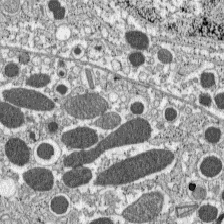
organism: C57BL Mouse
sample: Pancreatic islet